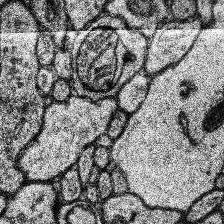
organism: Human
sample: Temporal Lobe